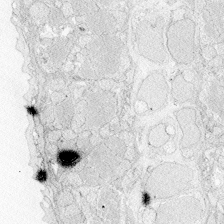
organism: Zebrafish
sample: Whole-Brain